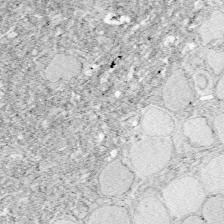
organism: Zebrafish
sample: Whole-Brain